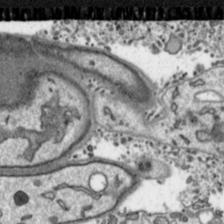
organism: Toxoplasma gondii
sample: Parasites in a vacuole inside a host cell